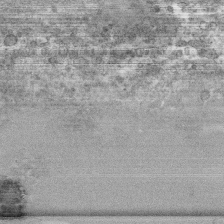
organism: Human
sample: CRL-1474